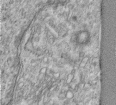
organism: Human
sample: Centriole in RPE cells